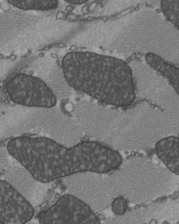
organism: C57BL Mouse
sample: Heart